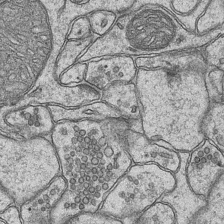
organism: Mouse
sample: CA1 Hippocampus